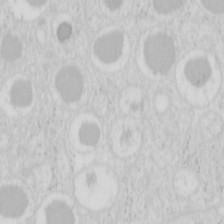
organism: Mouse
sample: Pancreas